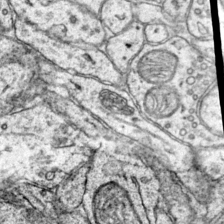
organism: Mouse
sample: Primary visual cortex